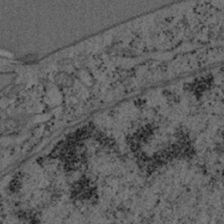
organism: Human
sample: HeLa cells